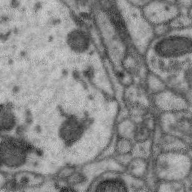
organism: Zebra finch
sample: Brain